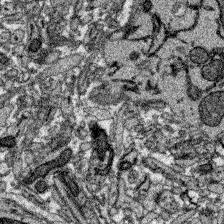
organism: Zebrafish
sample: Larval olfactory bulb